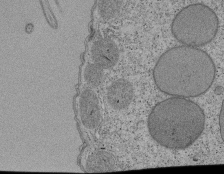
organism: Tetrahymena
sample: Cilia in tetrahymena